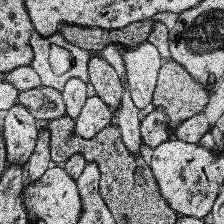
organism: Human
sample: Temporal Lobe